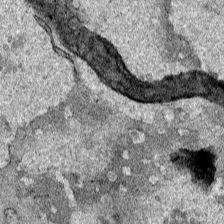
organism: Human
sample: Mitochondria in HCT116 cells